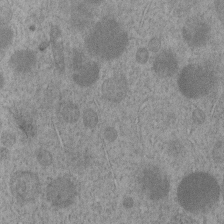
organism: C. elegans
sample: C. elegans embryo early stage